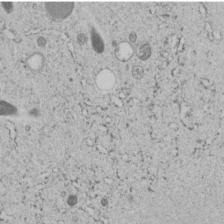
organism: C. elegans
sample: C. elegans embryo early stage